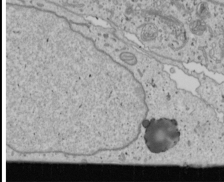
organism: Human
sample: Mitochondria in U2OS cells